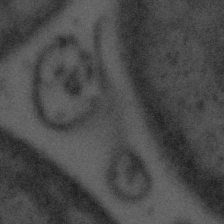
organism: Tuwongella immobilis